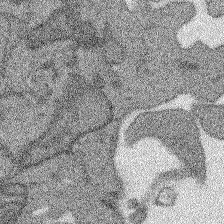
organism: Human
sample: HeLa cells